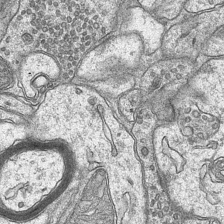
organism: Mouse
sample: CA1 Hippocampus